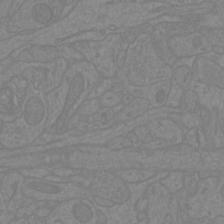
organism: Mouse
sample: Cortical neurons